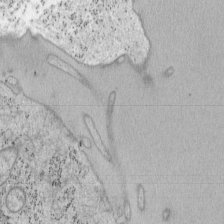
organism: Mouse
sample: OT-I killer T cells with ID8 ovarian cancer cells